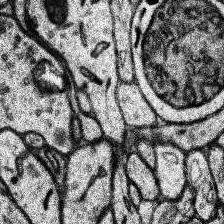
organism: Human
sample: Temporal Lobe